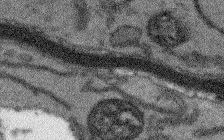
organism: Arabidopsis thaliana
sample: Root tip